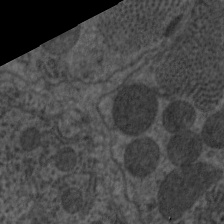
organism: C. elegans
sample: Pharynx